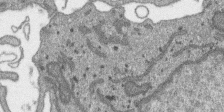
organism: Human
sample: Lung epithelial cells infected with SARS-CoV-2